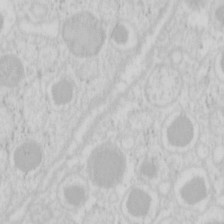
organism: Mouse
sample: Pancreas